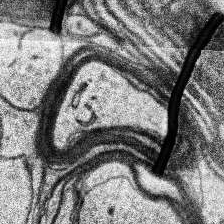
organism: Human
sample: Temporal Lobe